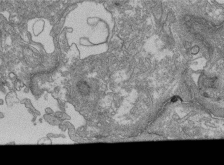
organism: Human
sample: Retinal organoid Rod and Cone cells